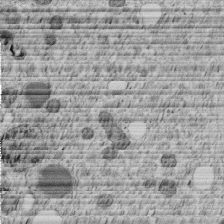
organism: C. elegans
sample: C. elegans embryo early stage